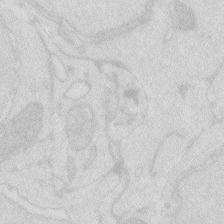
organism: Zebrafish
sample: Macrophage